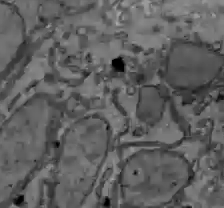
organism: C57BL Mouse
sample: Liver